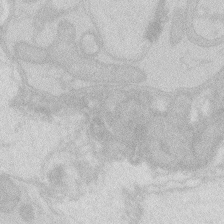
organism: Zebrafish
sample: Macrophage